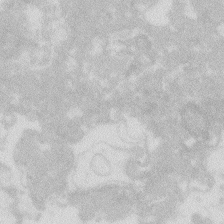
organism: Zebrafish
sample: Macrophage